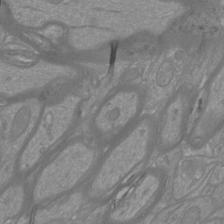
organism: Mouse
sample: Cortical neurons